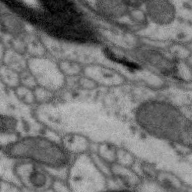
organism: Zebra finch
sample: Brain